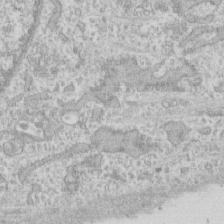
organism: Human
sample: CRL-1474